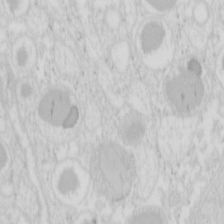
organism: Mouse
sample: Pancreas